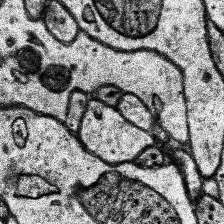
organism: Human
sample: Temporal Lobe